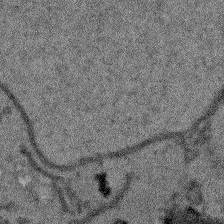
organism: Arabidopsis thaliana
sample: Root tip